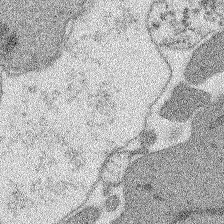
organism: Human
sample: HeLa cells